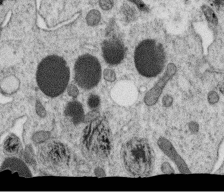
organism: C. elegans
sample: C. elegans oocyte; sperm cells